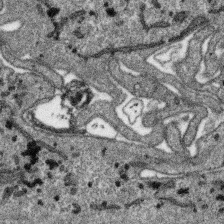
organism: Human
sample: Lung epithelial cells infected with SARS-CoV-2